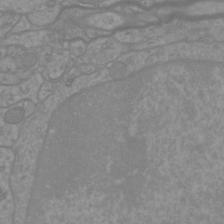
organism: Mouse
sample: Cortical neurons